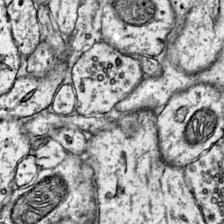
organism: Mouse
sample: Primary visual cortex